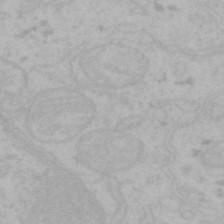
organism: Mouse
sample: Choroid plexus